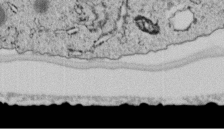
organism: C. elegans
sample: C. elegans embryo early stage